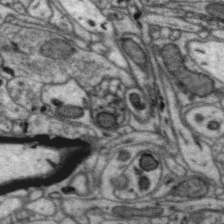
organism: Zebra finch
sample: Brain